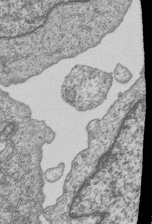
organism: Human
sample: MDA-MB-231 cells